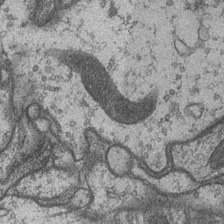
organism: Drosophila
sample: Optic medulla